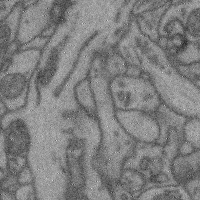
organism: Mouse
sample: Cerebral cortex